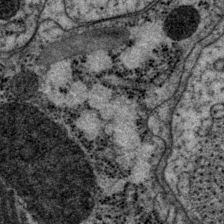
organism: P. pacificus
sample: Pharynx